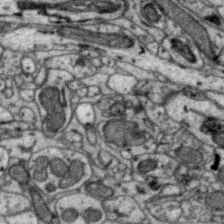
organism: Zebra finch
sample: Brain